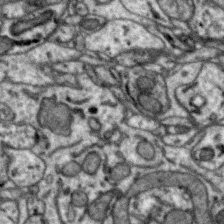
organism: Zebra finch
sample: Brain